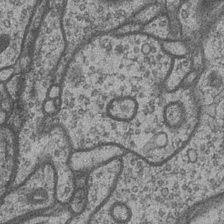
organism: Drosophila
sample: Optic medulla